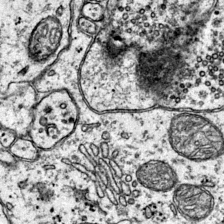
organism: Mouse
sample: Primary visual cortex